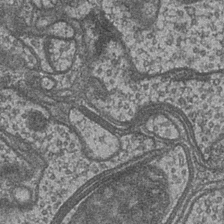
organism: Drosophila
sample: Optic medulla